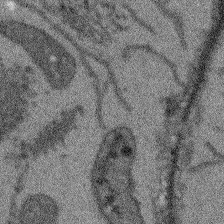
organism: Arabidopsis thaliana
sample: Root tip